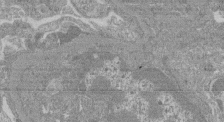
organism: Mouse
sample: Glomerulus